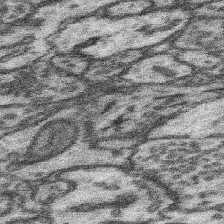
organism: Mouse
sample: Somatosensory cortex neuropil